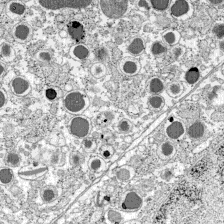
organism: C57BL Mouse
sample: Pancreatic islet